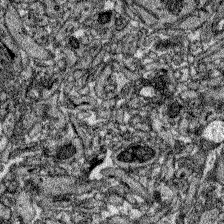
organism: Zebrafish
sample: Larval olfactory bulb